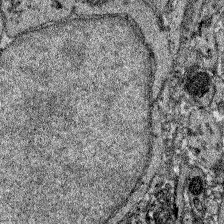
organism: Zebrafish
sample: Larval olfactory bulb